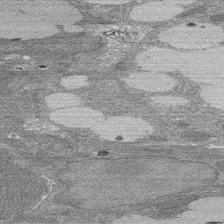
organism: Rat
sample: Salivary granule